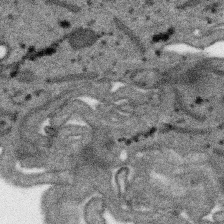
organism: Human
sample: Lung epithelial cells infected with SARS-CoV-2